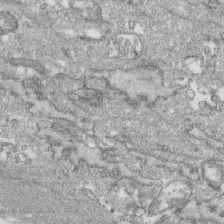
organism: Human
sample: CRL-1474